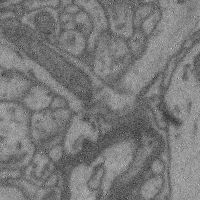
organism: Mouse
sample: Cerebral cortex